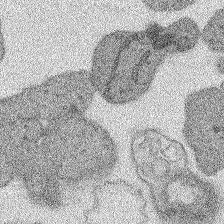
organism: Human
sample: HeLa cells